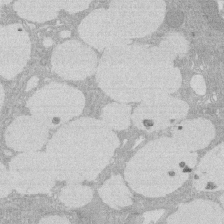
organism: Rat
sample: Salivary granule